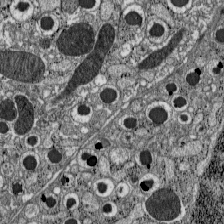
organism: C57BL Mouse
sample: Pancreatic islet